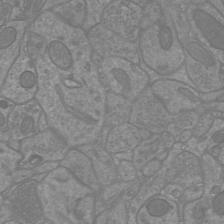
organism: Mouse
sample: Cortical neurons